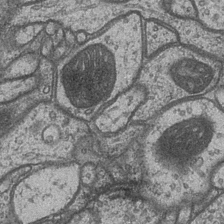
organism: Drosophila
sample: Optic medulla